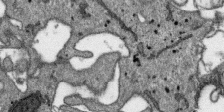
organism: Human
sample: Lung epithelial cells, uninfected (mock) control